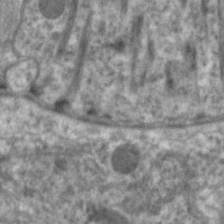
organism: C. elegans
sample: Pharynx